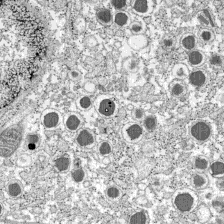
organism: C57BL Mouse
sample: Pancreatic islet